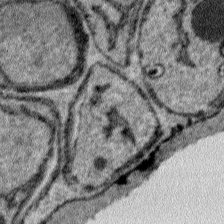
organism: Plasmodium falciparum